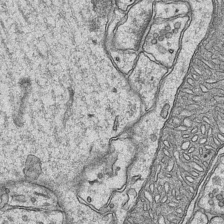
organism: Mouse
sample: CA1 Hippocampus